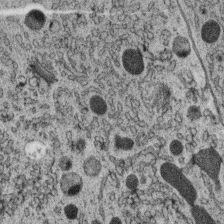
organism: C. elegans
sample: C. elegans oocyte; sperm cells